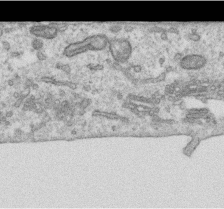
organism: Human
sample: Centriole in RPE cells